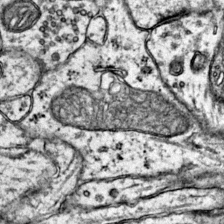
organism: Mouse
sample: Primary visual cortex